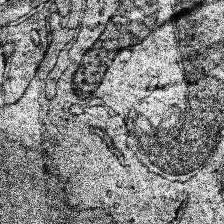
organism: Human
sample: Temporal Lobe